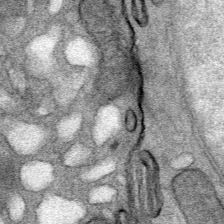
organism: Mouse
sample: Mouse Salivary gland